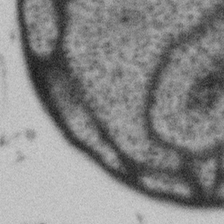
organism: Gemmata obscuriglobus